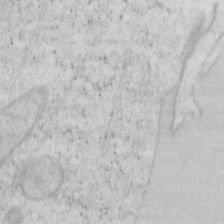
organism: Human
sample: HeLa cells